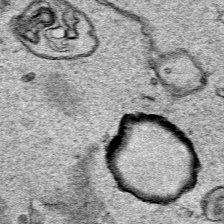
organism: Human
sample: Mitochondria in HCT116 cells